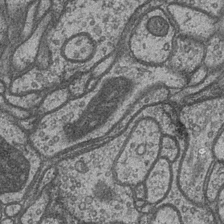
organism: Drosophila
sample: Optic medulla